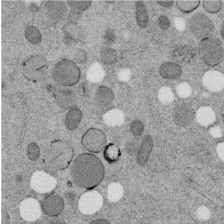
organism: C. elegans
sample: C. elegans embryo early stage